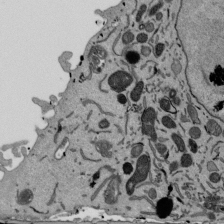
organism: Mouse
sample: ED-1 cell nuclei; centrioles